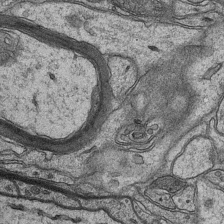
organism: Mouse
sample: CA1 Hippocampus